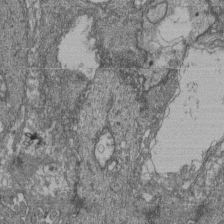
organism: Human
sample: Retinal organoid Rod and Cone cells